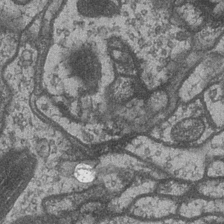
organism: Drosophila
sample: Optic medulla